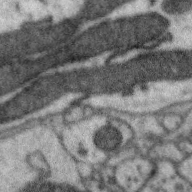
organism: Zebra finch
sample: Brain